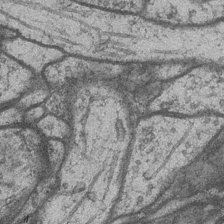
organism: Drosophila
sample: Optic medulla